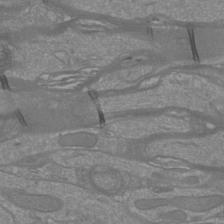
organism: Mouse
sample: Cortical neurons